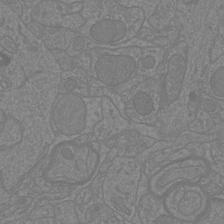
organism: Mouse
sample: Cortical neurons